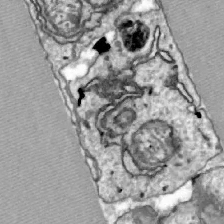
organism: Zebrafish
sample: Actinotrichia fibers